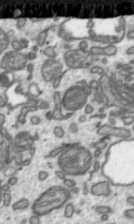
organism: Toxoplasma gondii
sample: Parasites in a vacuole inside a host cell